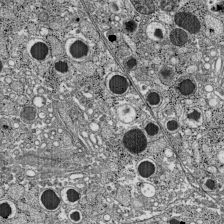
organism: C57BL Mouse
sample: Pancreatic islet